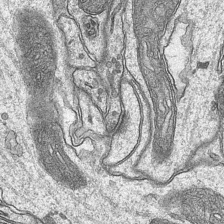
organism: Mouse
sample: CA1 Hippocampus